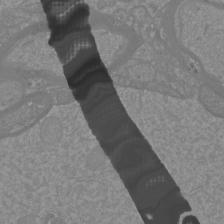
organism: Mouse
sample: Cortical neurons